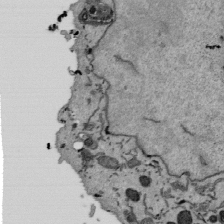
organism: Mouse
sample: ED-1 cell nuclei; centrioles